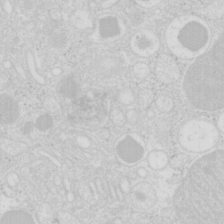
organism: Mouse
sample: Pancreas